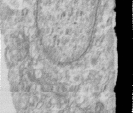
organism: Human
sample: Centriole in RPE cells